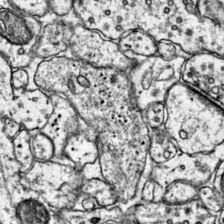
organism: Mouse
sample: Primary visual cortex